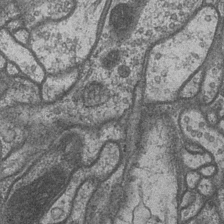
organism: Drosophila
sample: Optic medulla